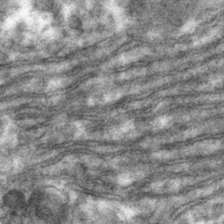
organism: Mouse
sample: Mouse hepatocytes